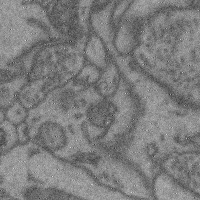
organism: Mouse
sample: Cerebral cortex